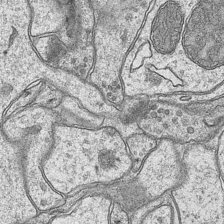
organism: Mouse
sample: CA1 Hippocampus